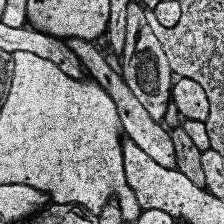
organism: Human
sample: Temporal Lobe